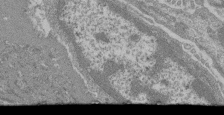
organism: Mouse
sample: Glomerulus